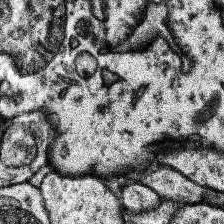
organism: Human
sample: Temporal Lobe